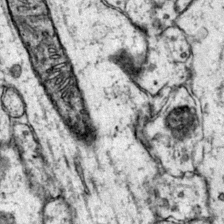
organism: Mouse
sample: Primary visual cortex